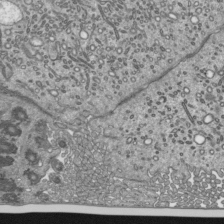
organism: Mouse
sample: Mouse epididymis efferent ductule cilia